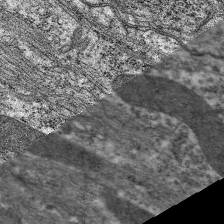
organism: C. elegans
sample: Pharynx